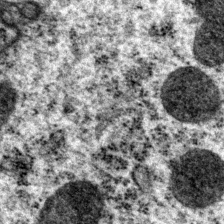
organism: P. pacificus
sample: Pharynx